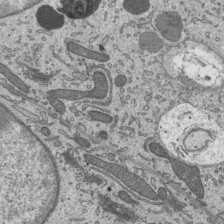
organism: Mouse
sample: Mouse epididymis efferent ductule cilia